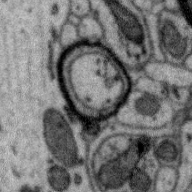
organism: Zebra finch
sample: Brain